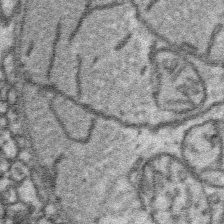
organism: Platynereis dumerilii